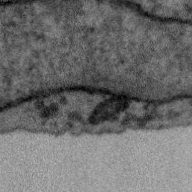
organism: Zebra finch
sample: Brain